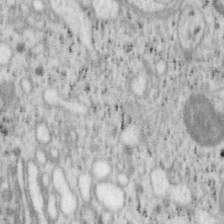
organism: Mouse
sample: OT-I killer T cells with ID8 ovarian cancer cells